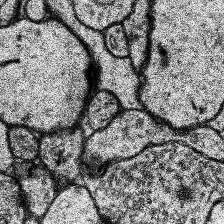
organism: Human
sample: Temporal Lobe